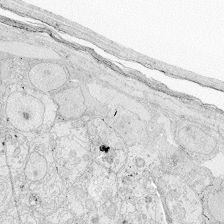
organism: Zebrafish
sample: Whole-Brain